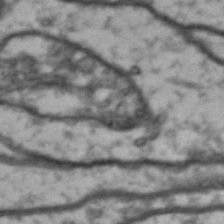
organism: Drosophila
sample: Brain